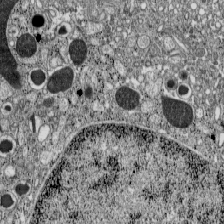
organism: C57BL Mouse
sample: Pancreatic islet